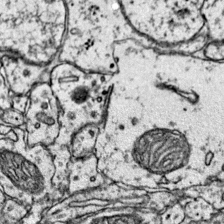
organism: Mouse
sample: Primary visual cortex